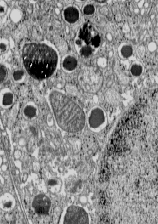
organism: C57BL Mouse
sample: Pancreatic islet